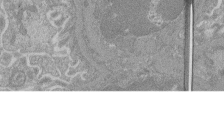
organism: Mouse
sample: Glomerulus